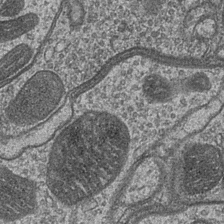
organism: Drosophila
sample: Optic medulla